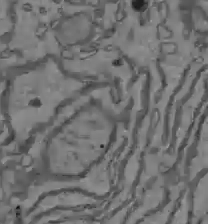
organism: C57BL Mouse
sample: Liver